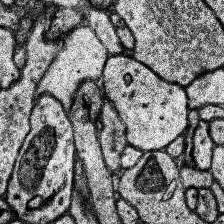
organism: Human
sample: Temporal Lobe